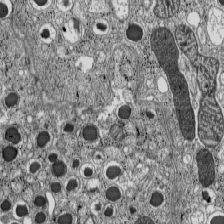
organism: C57BL Mouse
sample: Pancreatic islet